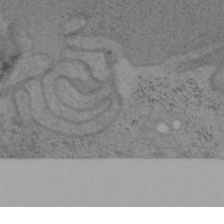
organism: Mouse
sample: OT-I killer T cells with ID8 ovarian cancer cells